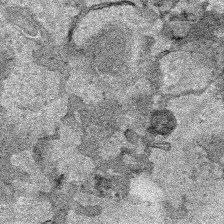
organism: Human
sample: Mitochondria in HCT116 cells